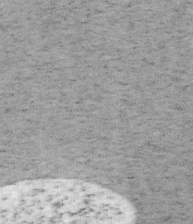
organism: Mouse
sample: OT-I killer T cells with ID8 ovarian cancer cells